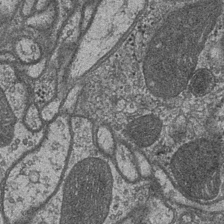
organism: Drosophila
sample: Optic medulla